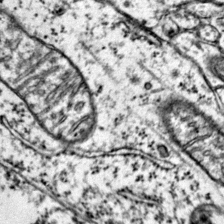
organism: Mouse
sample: Primary visual cortex